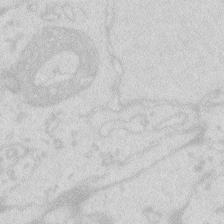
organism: Zebrafish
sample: Macrophage